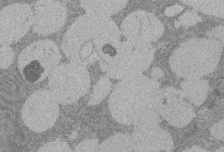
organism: Rat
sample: Salivary granule